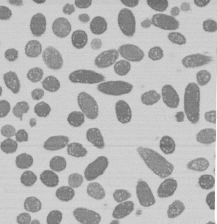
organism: E. coli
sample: Bacterial nucleoid